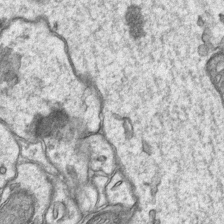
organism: Mouse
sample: CA1 Hippocampus